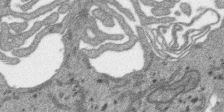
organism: Human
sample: Lung epithelial cells infected with SARS-CoV-2